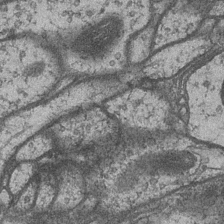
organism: Drosophila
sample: Optic medulla